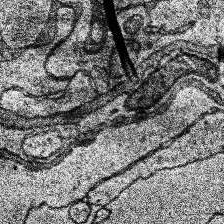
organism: Human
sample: Temporal Lobe